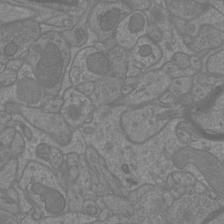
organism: Mouse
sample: Cortical neurons